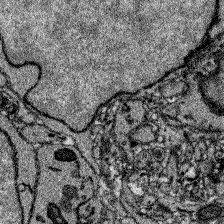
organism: Zebrafish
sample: Larval olfactory bulb